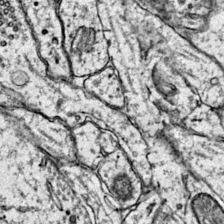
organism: Mouse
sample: Primary visual cortex